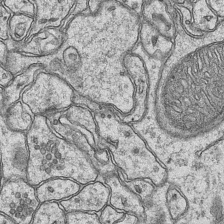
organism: Mouse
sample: CA1 Hippocampus